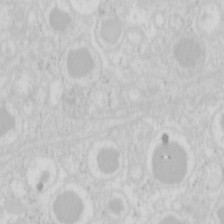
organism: Mouse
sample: Pancreas